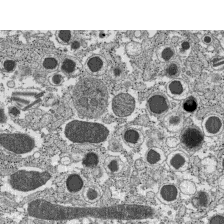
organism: C57BL Mouse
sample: Pancreatic islet